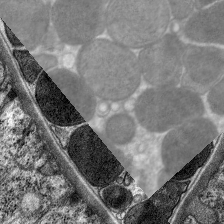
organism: C. elegans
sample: Pharynx